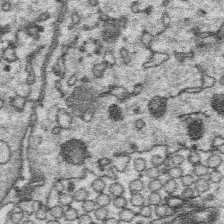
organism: Platynereis dumerilii